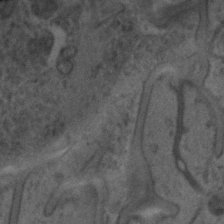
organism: C. elegans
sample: C. elegans embryo